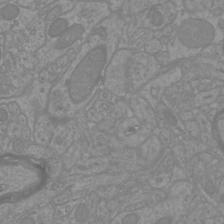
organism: Mouse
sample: Cortical neurons